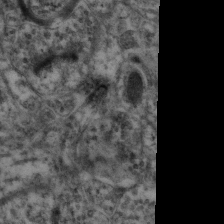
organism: Mouse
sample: Neocortex